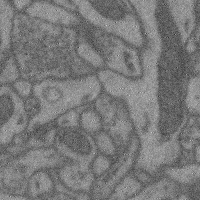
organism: Mouse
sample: Cerebral cortex